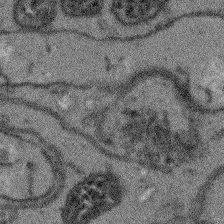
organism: Arabidopsis thaliana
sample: Root tip